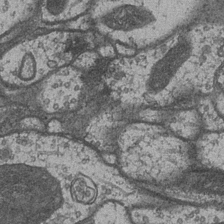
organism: Drosophila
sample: Optic medulla